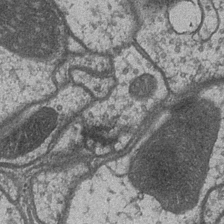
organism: Drosophila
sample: Optic medulla